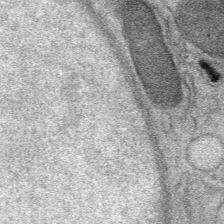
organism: Mouse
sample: Mouse Salivary gland